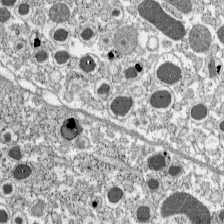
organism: C57BL Mouse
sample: Pancreatic islet